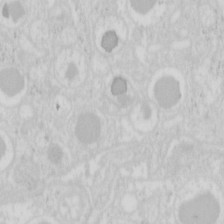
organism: Mouse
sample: Pancreas